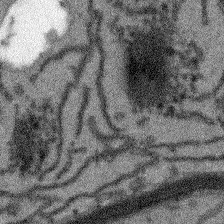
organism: Arabidopsis thaliana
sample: Root tip